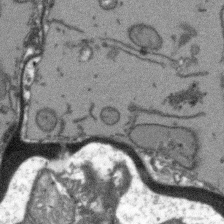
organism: Arabidopsis thaliana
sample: Root tip